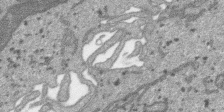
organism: Human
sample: Lung epithelial cells infected with SARS-CoV-2